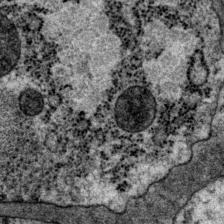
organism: P. pacificus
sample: Pharynx